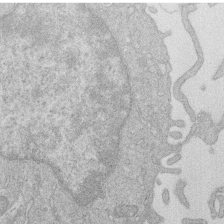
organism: Human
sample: Macrophage cells